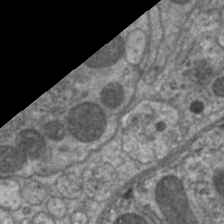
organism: C. elegans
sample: Pharynx